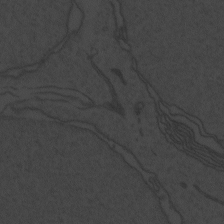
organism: Zebrafish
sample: Macrophage infected with Toxoplasma gondii